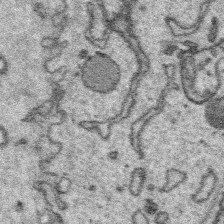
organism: Platynereis dumerilii